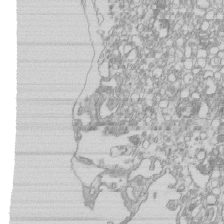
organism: Mouse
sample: Macrophages